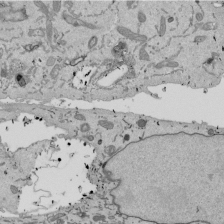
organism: Mouse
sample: ED-1 cell nuclei; centrioles